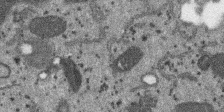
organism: Human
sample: Lung epithelial cells infected with SARS-CoV-2